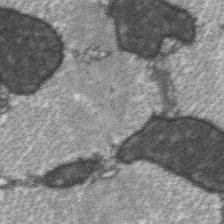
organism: C57BL Mouse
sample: Soleus